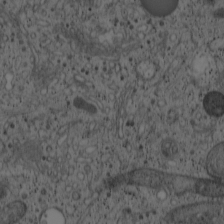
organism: African green monkey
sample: COS-7 cells